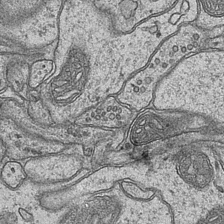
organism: Mouse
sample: CA1 Hippocampus